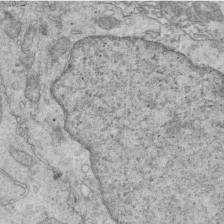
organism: Mouse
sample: Multiciliated cells